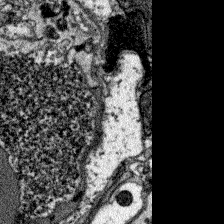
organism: Zebrafish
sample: Larval olfactory bulb